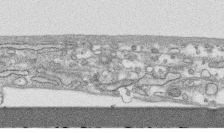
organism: Human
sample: CRL-1474